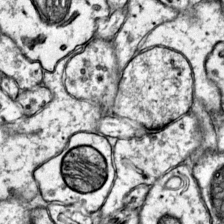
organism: Mouse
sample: Primary visual cortex